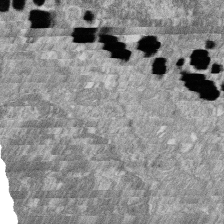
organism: Zebrafish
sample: Cilia; retinal pigment epithelium